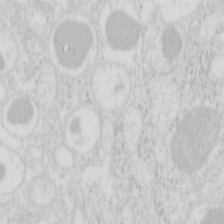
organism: Mouse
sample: Pancreas